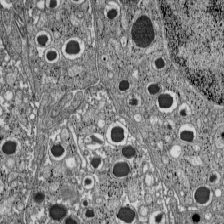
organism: C57BL Mouse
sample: Pancreatic islet